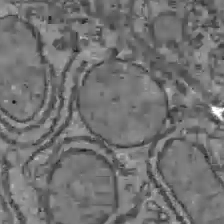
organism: C57BL Mouse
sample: Liver